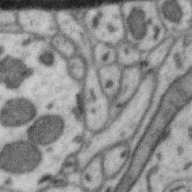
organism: Zebra finch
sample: Brain